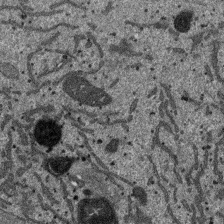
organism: Human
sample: Lung epithelial cells infected with SARS-CoV-2